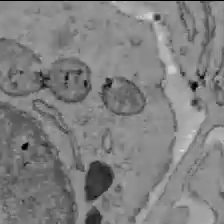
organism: C57BL Mouse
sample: Liver